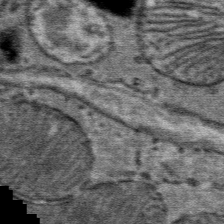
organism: Mouse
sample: Mouse Salivary gland